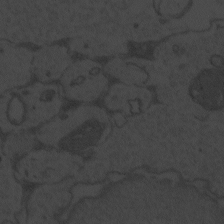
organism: Zebrafish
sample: Macrophage infected with Toxoplasma gondii